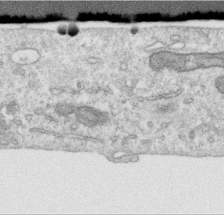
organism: Human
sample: Centriole in RPE cells